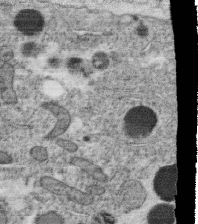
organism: C. elegans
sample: C. elegans oocyte; sperm cells